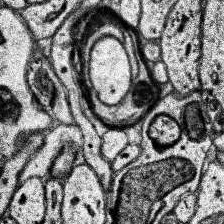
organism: Human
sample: Temporal Lobe